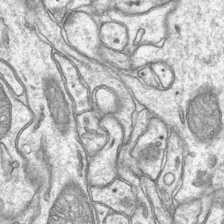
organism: Mouse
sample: CA1 Hippocampus